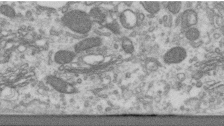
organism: Human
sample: Centriole in RPE cells